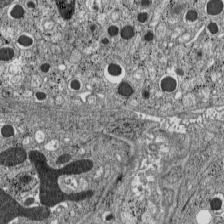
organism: C57BL Mouse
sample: Pancreatic islet